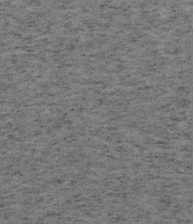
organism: Mouse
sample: OT-I killer T cells with ID8 ovarian cancer cells